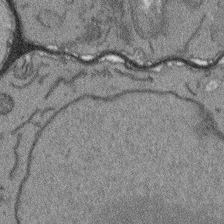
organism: Arabidopsis thaliana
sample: Root tip